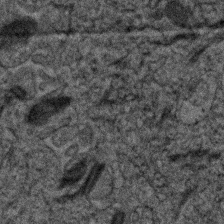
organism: Human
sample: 1205lu cells